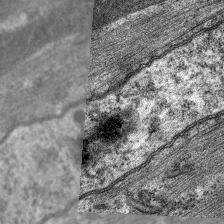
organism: C. elegans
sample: Pharynx